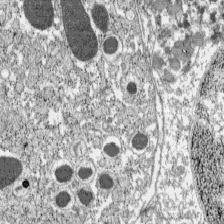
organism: C57BL Mouse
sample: Pancreatic islet